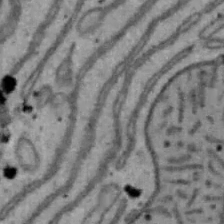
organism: Mouse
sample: Liver